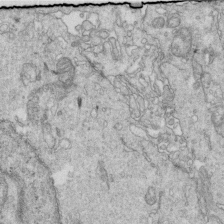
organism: Mouse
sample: Multiciliated cells